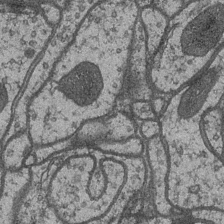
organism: Drosophila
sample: Optic medulla